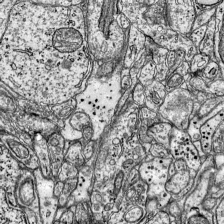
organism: Mouse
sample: Visual Cortex